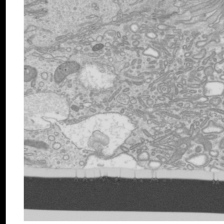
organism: Mouse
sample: Cilia; mouse epididymis